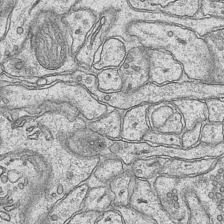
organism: Mouse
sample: CA1 Hippocampus